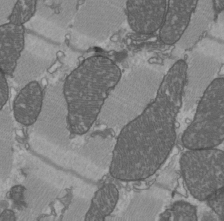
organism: C57BL Mouse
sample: Heart